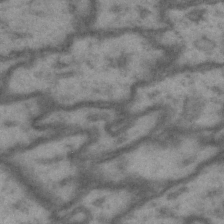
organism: Drosophila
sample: Brain